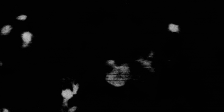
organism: Human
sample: Lung epithelial cells, uninfected (mock) control